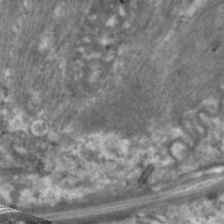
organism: C. elegans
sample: Pharynx